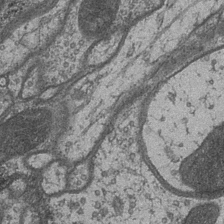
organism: Drosophila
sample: Optic medulla